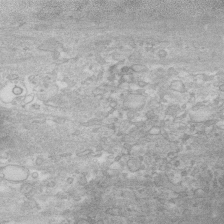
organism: Human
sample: Fibroblast cells